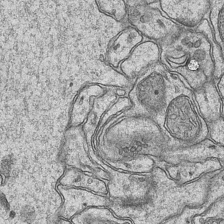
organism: Mouse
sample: CA1 Hippocampus